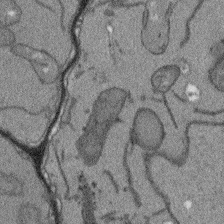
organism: Arabidopsis thaliana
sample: Root tip